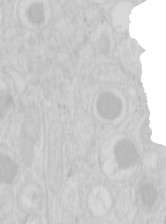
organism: Mouse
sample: Pancreas